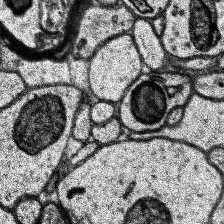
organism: Human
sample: Temporal Lobe